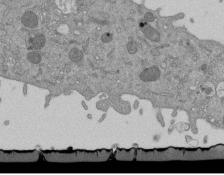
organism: Mouse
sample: ED-1 cell nuclei; centrioles